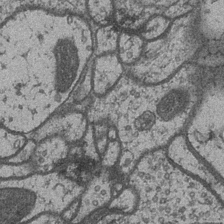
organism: Drosophila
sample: Optic medulla